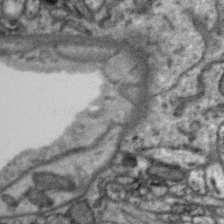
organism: Zebra finch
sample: Brain